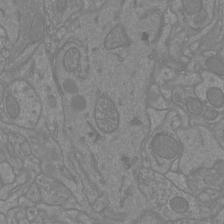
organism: Mouse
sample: Cortical neurons